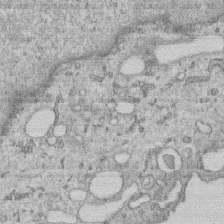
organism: Human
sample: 1205lu cells